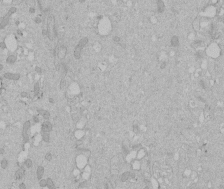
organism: Human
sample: Melanocyte Keratinocyte synapse skin construct